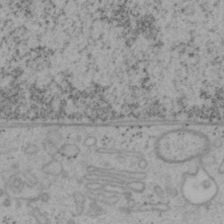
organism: Human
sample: HeLa cells